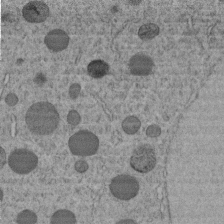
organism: C. elegans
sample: C. elegans embryo early stage